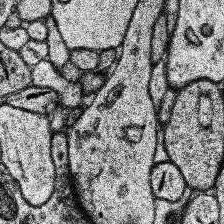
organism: Human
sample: Temporal Lobe